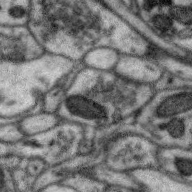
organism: Zebra finch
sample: Brain